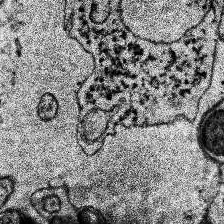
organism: Human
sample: Temporal Lobe